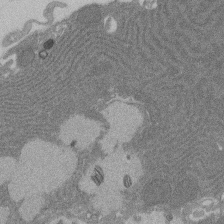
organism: Rat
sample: Salivary granule